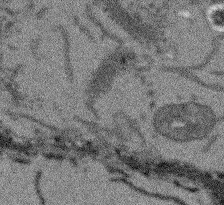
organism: Arabidopsis thaliana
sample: Root tip